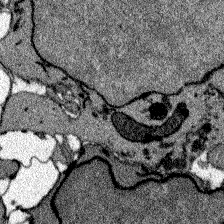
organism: Zebrafish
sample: Larval olfactory bulb